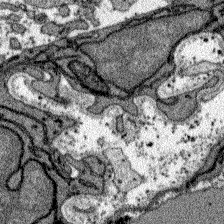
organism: Zebrafish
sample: Larval olfactory bulb